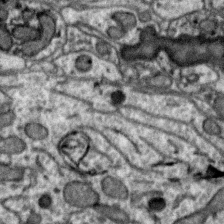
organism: Zebra finch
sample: Brain